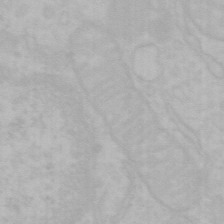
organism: Mouse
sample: Choroid plexus